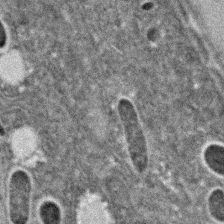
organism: C. elegans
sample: C. elegans embryo